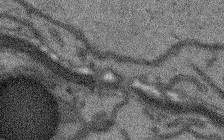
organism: Arabidopsis thaliana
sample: Root tip